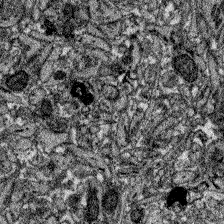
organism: Zebrafish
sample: Larval olfactory bulb